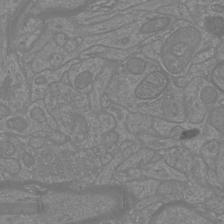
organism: Mouse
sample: Cortical neurons